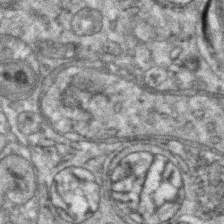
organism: Zebrafish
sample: Zebrafish embryo